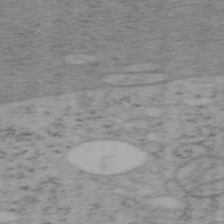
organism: Mouse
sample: OT-I killer T cells with ID8 ovarian cancer cells